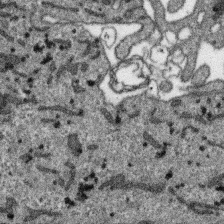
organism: Human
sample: Lung epithelial cells infected with SARS-CoV-2